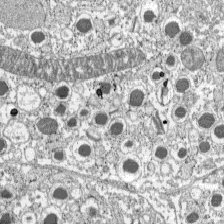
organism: C57BL Mouse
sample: Pancreatic islet